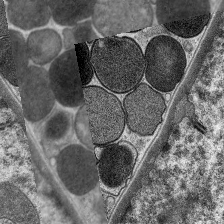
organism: C. elegans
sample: Pharynx